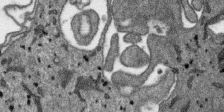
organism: Human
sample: Lung epithelial cells, uninfected (mock) control